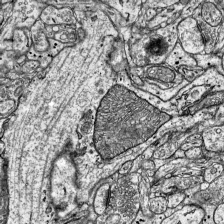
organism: Mouse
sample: Visual Cortex